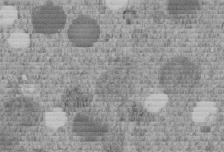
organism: C. elegans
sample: C. elegans embryo early stage